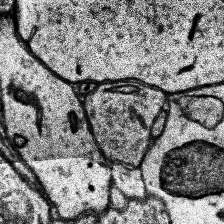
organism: Human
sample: Temporal Lobe